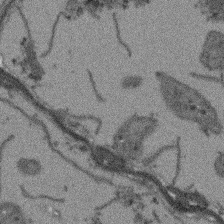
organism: Arabidopsis thaliana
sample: Root tip